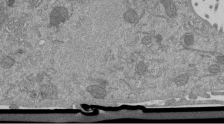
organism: Mouse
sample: ED-1 cell nuclei; centrioles